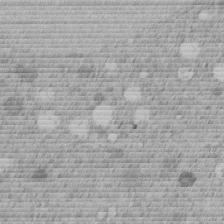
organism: C. elegans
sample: C. elegans embryo early stage